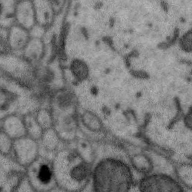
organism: Zebra finch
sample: Brain